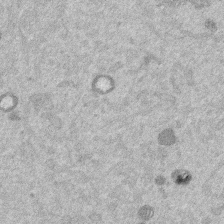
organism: Mouse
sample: Dividing mouse embryo 1 cell stage